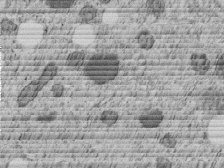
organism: C. elegans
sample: C. elegans embryo early stage